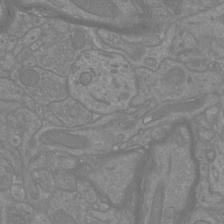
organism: Mouse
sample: Cortical neurons